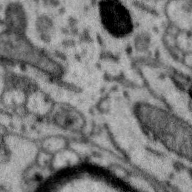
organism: Zebra finch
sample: Brain